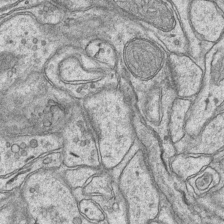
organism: Mouse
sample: CA1 Hippocampus